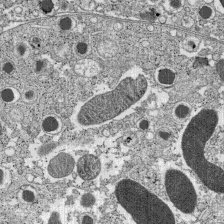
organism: C57BL Mouse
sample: Pancreatic islet